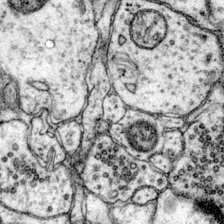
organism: Mouse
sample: Primary visual cortex